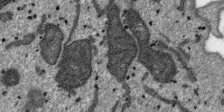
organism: Human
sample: Lung epithelial cells, uninfected (mock) control